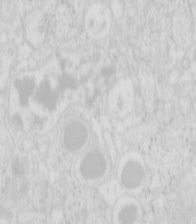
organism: Mouse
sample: Pancreas